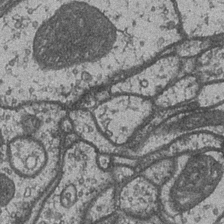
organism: Drosophila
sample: Optic medulla